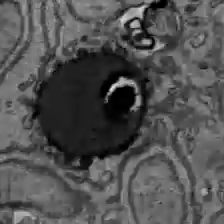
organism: C57BL Mouse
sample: Liver